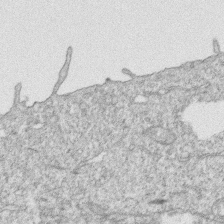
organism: Human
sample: HeLa cell HIV synapse